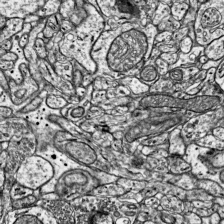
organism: Mouse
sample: Visual Cortex